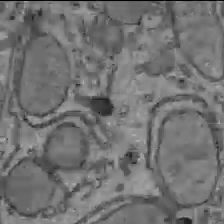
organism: C57BL Mouse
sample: Liver